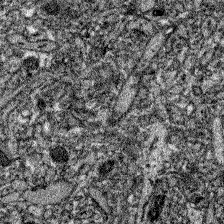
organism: Zebrafish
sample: Larval olfactory bulb